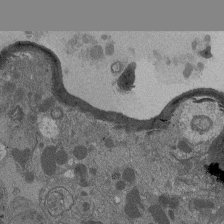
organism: Drosophila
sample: Antenna